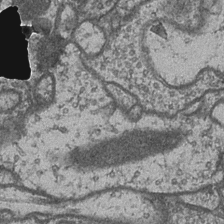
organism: Drosophila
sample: Optic medulla